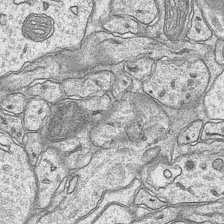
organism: Mouse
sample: CA1 Hippocampus